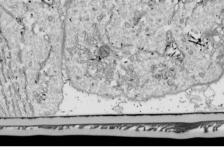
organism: Drosophila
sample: Cell division; meiosis; drosophila spermatocytes